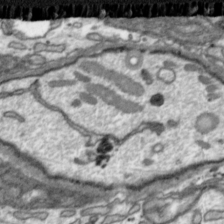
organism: Toxoplasma gondii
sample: Parasites in a vacuole inside a host cell